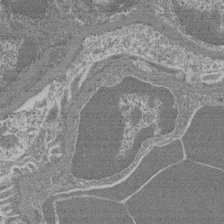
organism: Mouse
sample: Glomerulus